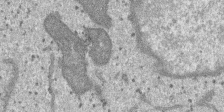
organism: Human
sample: Lung epithelial cells infected with SARS-CoV-2